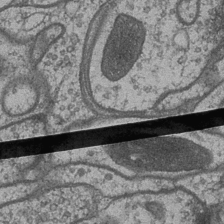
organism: Drosophila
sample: Optic medulla